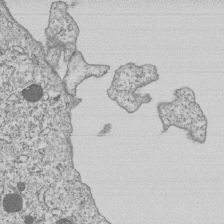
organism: Human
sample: MDA-MB-231 cells